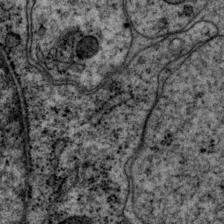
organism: P. pacificus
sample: Pharynx